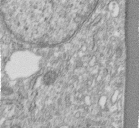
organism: Human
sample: Centriole in fibroblast cells